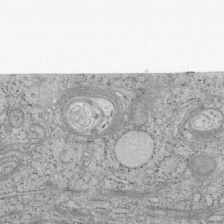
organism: Human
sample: HeLa cells